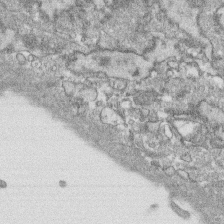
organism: Human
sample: CRL-1474